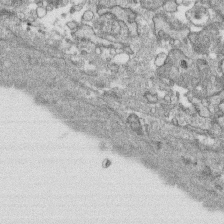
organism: Human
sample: CRL-1474